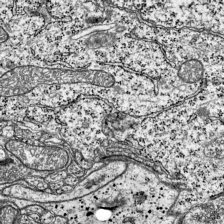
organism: Mouse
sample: Visual Cortex